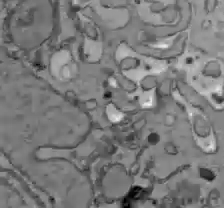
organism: C57BL Mouse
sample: Liver